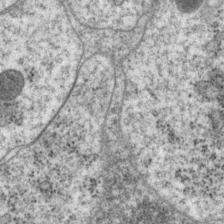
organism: P. pacificus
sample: Pharynx